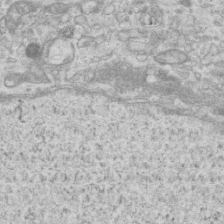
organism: Mouse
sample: Centriole in ependymal cells